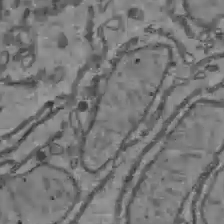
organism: C57BL Mouse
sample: Liver